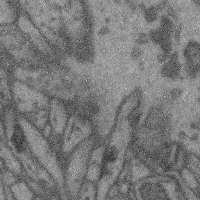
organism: Mouse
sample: Cerebral cortex